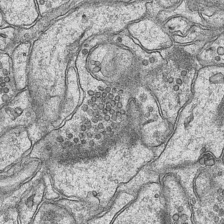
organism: Mouse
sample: CA1 Hippocampus